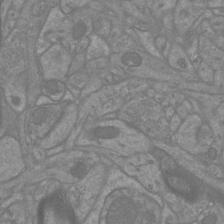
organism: Mouse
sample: Cortical neurons